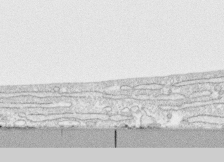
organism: Human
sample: CRL-1474